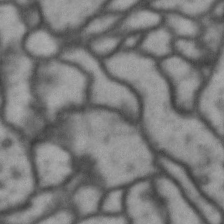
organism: Drosophila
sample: Brain